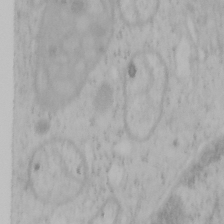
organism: Mouse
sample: OT-I killer T cells with ID8 ovarian cancer cells